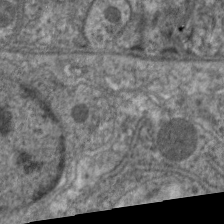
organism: C. elegans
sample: Pharynx